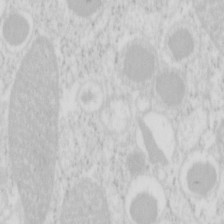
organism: Mouse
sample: Pancreas